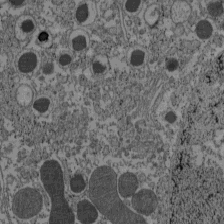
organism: C57BL Mouse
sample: Pancreatic islet